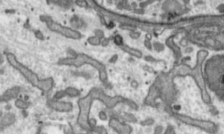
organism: Toxoplasma gondii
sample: Parasites in a vacuole inside a host cell